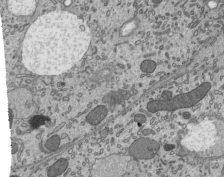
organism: Mouse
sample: Mouse epididymis efferent ductule cilia